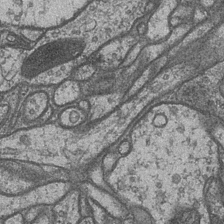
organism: Drosophila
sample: Optic medulla